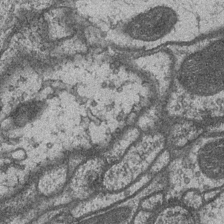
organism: Drosophila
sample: Optic medulla